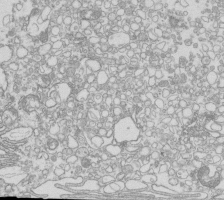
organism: Mouse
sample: Macrophages